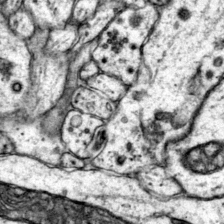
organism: Mouse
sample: Primary visual cortex